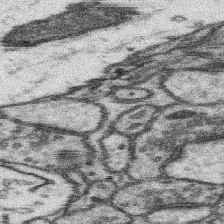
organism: Mouse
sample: Somatosensory cortex neuropil